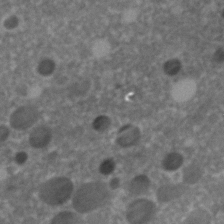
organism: C. elegans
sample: C. elegans embryo